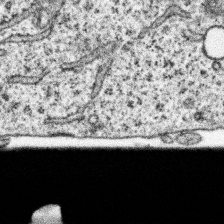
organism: Human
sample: HeLa cells